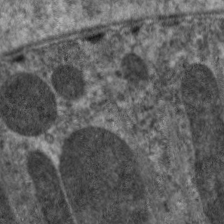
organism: C. elegans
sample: Pharynx